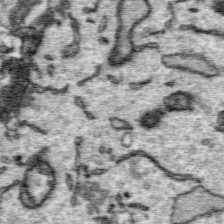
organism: Human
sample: HeLa cells